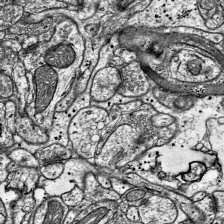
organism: Mouse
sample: Visual Cortex